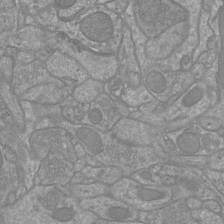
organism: Mouse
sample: Cortical neurons